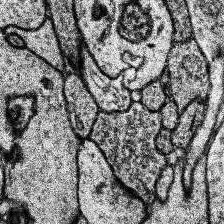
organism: Human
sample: Temporal Lobe